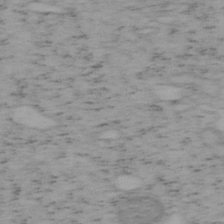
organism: Mouse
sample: OT-I killer T cells with ID8 ovarian cancer cells